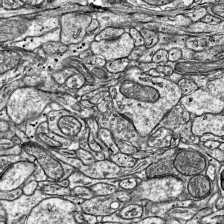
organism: Mouse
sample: Visual Cortex